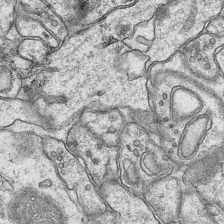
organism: Mouse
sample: CA1 Hippocampus